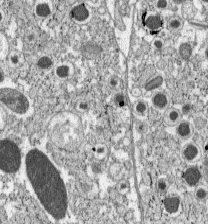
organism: C57BL Mouse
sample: Pancreatic islet